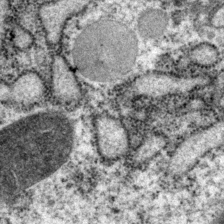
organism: P. pacificus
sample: Pharynx